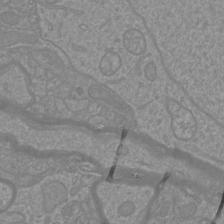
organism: Mouse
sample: Cortical neurons